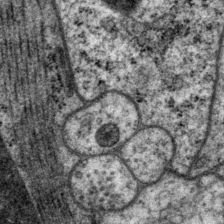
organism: P. pacificus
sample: Pharynx